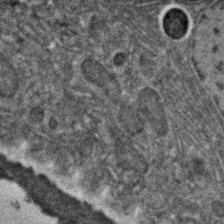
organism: C. elegans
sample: C. elegans embryo